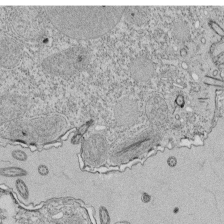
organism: Tetrahymena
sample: Cilia in tetrahymena